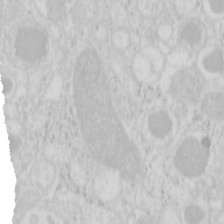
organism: Mouse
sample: Pancreas